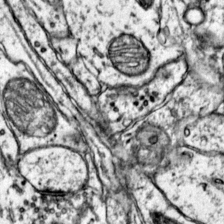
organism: Mouse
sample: Primary visual cortex